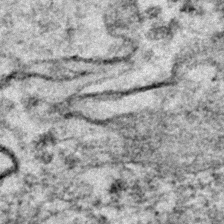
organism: Zebrafish